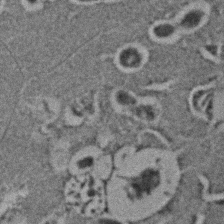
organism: C. elegans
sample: C. elegans embryo